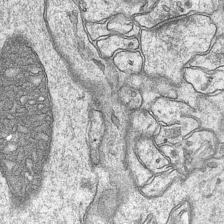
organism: Mouse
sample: CA1 Hippocampus